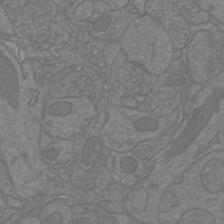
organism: Mouse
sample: Cortical neurons